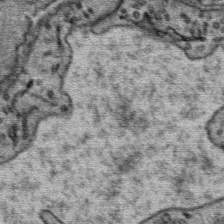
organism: Mouse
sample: Mouse Salivary gland